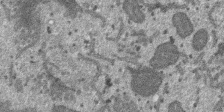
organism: Human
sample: Lung epithelial cells infected with SARS-CoV-2